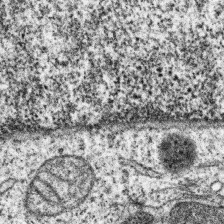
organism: Human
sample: HeLa cells